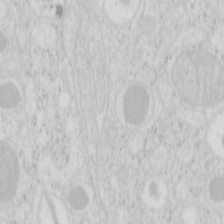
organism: Mouse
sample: Pancreas